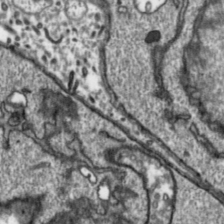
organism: Toxoplasma gondii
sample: Parasites in a vacuole inside a host cell